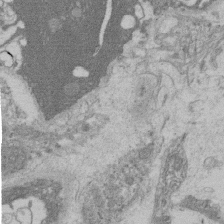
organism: Rat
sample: Salivary granule